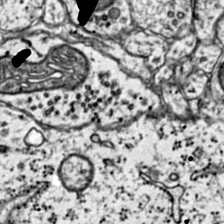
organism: Mouse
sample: Primary visual cortex